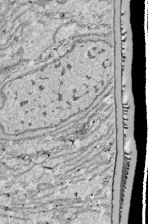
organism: Drosophila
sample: Cell division; meiosis; drosophila spermatocytes